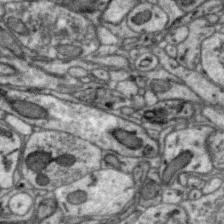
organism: Zebra finch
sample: Brain